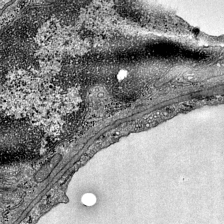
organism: Mouse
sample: Visual Cortex